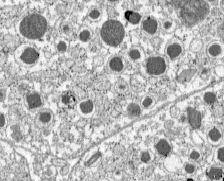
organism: C57BL Mouse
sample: Pancreatic islet